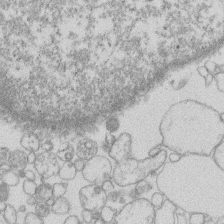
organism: Human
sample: Macrophage cells